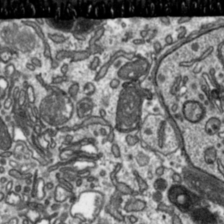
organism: Toxoplasma gondii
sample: Parasites in a vacuole inside a host cell